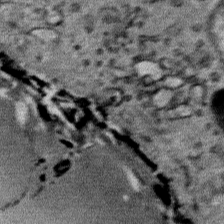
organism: Mouse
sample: Mouse Salivary gland